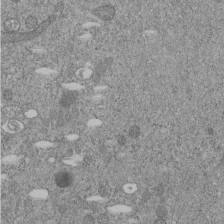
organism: C. elegans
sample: C. elegans embryo early stage